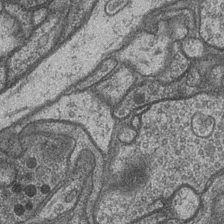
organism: Drosophila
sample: Optic medulla